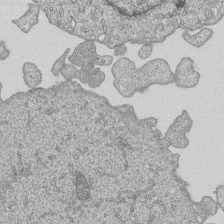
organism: Human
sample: MDA-MB-231 cells